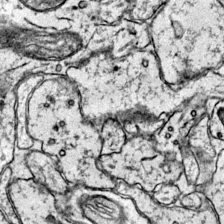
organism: Mouse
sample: Primary visual cortex